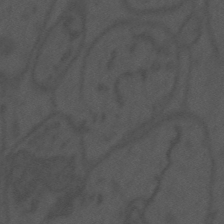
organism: Mouse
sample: Suprachiasmatic nucleus